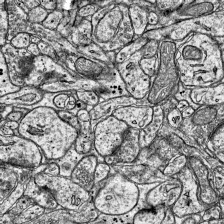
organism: Mouse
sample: Visual Cortex